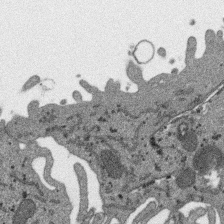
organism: Human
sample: Lung epithelial cells infected with SARS-CoV-2